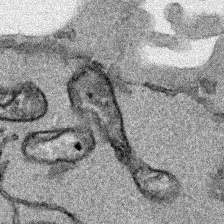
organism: Human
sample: Mitochondria in HCT116 cells